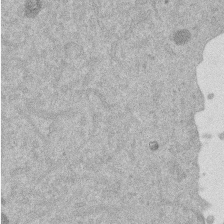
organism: Mouse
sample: Dividing mouse embryo 1 cell stage